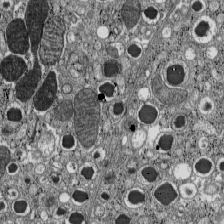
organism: C57BL Mouse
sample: Pancreatic islet